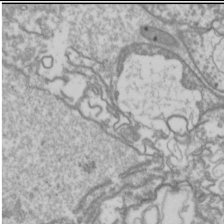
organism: Drosophila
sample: Cell division; meiosis; drosophila spermatocytes